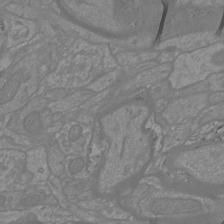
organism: Mouse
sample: Cortical neurons